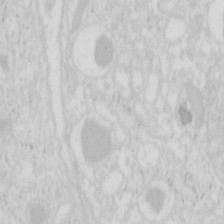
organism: Mouse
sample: Pancreas